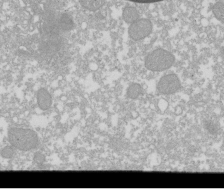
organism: Xenopus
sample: Cilia; centrioles in frog embryo cells